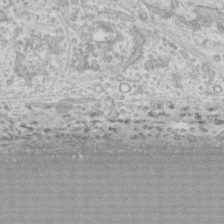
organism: Human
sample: CRL-1474